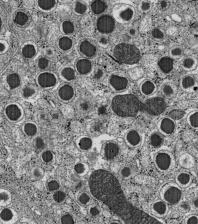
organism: C57BL Mouse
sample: Pancreatic islet